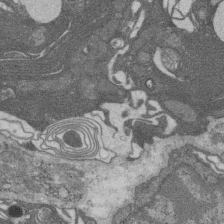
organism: Rat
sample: Salivary granule